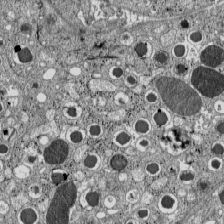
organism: C57BL Mouse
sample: Pancreatic islet